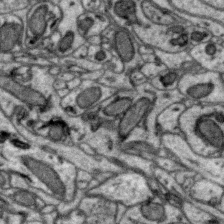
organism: Zebra finch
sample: Brain